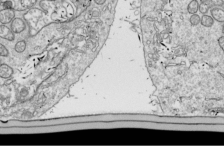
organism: Drosophila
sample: Cell division; meiosis; drosophila spermatocytes